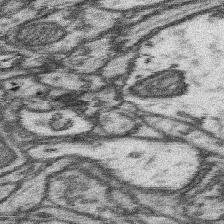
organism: Mouse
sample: Somatosensory cortex neuropil